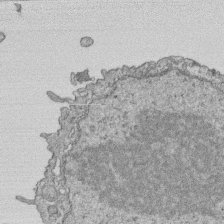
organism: Human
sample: HeLa cell HIV synapse